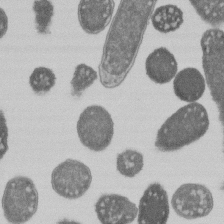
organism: E. coli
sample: Bacterial nucleoid